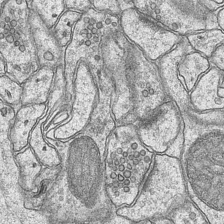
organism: Mouse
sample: CA1 Hippocampus